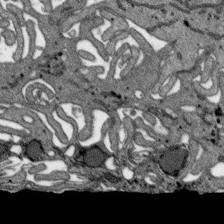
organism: Human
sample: Lung epithelial cells, uninfected (mock) control